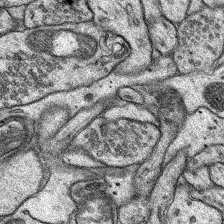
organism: Rat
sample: Hippocampus